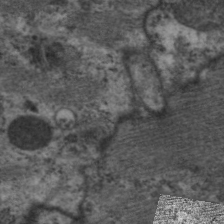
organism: C. elegans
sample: Pharynx